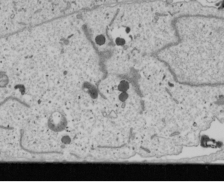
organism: Human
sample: Mitochondria in U2OS cells